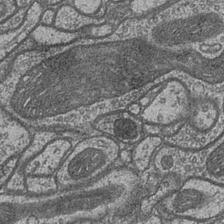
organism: Drosophila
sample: Optic medulla